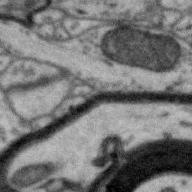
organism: Zebra finch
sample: Brain